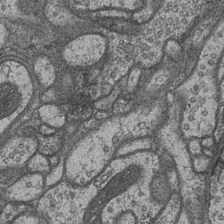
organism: Drosophila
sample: Optic medulla